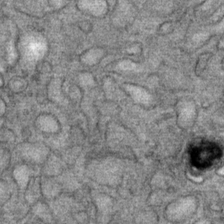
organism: Mouse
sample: Mouse Salivary gland